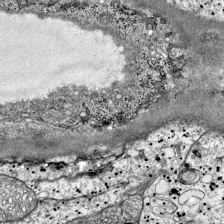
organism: Mouse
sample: Visual Cortex